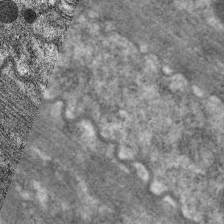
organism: C. elegans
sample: Pharynx